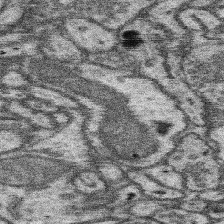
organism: Mouse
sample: Somatosensory cortex neuropil